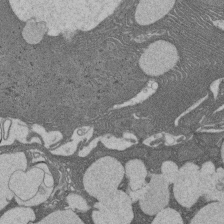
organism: Rat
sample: Salivary granule